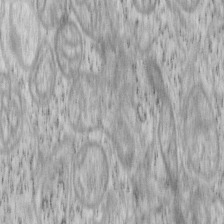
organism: Human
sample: HeLa cells